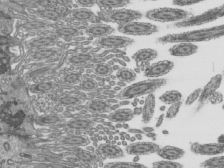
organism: Mouse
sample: Mouse epididymis efferent ductule cilia